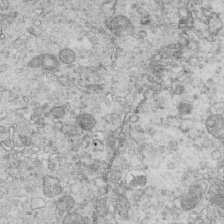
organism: Mouse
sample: Multiciliated cells